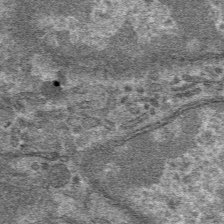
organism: Mouse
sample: Mouse hepatocytes